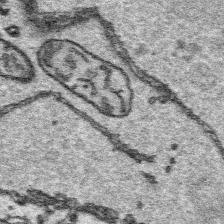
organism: Platynereis dumerilii